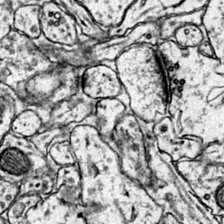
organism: Mouse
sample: Primary visual cortex